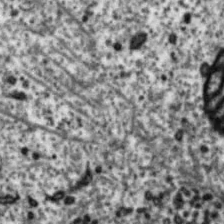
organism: Human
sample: HeLa cells